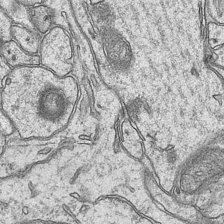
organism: Mouse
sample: CA1 Hippocampus